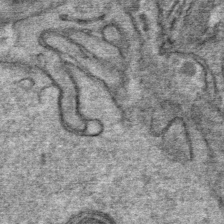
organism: Mouse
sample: Mouse Salivary gland